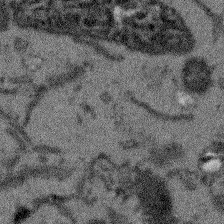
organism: Arabidopsis thaliana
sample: Root tip